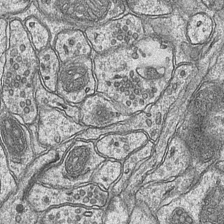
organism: Mouse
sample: CA1 Hippocampus